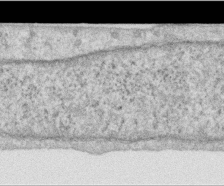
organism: Human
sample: Centriole in RPE cells